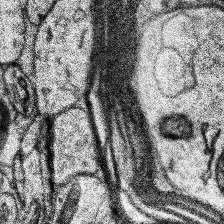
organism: Human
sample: Temporal Lobe